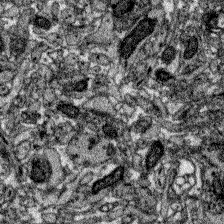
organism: Zebrafish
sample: Larval olfactory bulb